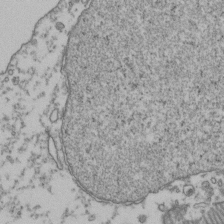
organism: Human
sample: Activated Jurkat CD4+ T cells